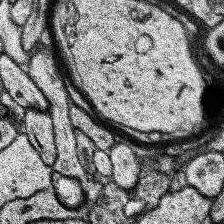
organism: Human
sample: Temporal Lobe